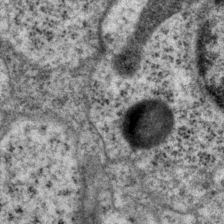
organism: P. pacificus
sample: Pharynx